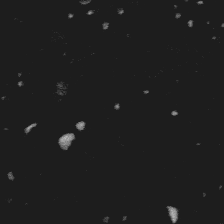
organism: Platynereis dumerilii